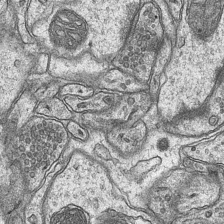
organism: Mouse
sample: CA1 Hippocampus